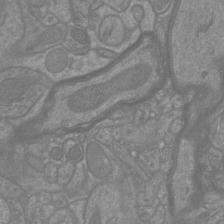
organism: Mouse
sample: Cortical neurons